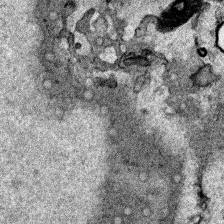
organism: Human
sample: Mitochondria in HCT116 cells